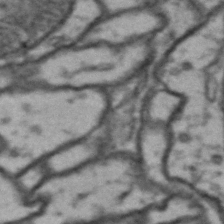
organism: Drosophila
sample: Brain